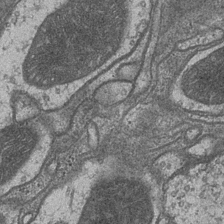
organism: Drosophila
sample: Optic medulla